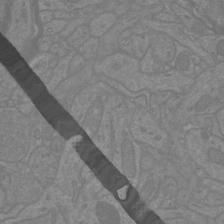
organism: Mouse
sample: Cortical neurons